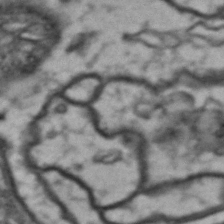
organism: Drosophila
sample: Brain